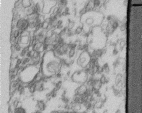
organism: Human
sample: Centriole in fibroblast cells